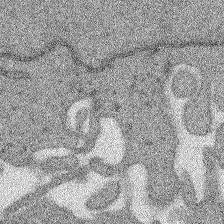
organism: Human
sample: HeLa cells